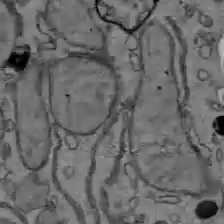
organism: C57BL Mouse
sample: Liver